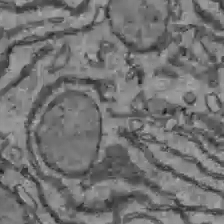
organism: C57BL Mouse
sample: Liver